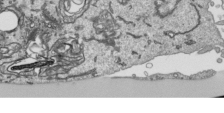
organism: Human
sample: Mitochondria in HCT116 cells